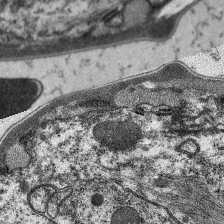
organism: C. elegans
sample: Pharynx